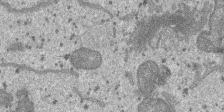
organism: Human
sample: Lung epithelial cells infected with SARS-CoV-2